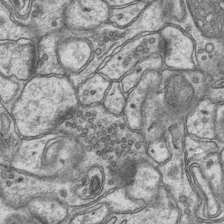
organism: Mouse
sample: CA1 Hippocampus